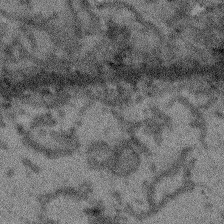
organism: Arabidopsis thaliana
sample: Root tip